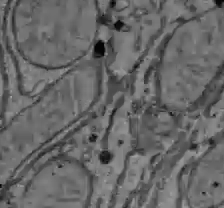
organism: C57BL Mouse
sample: Liver